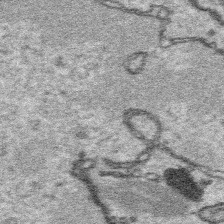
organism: Platynereis dumerilii